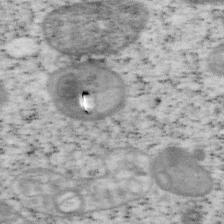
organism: Mouse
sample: OT-I killer T cells with ID8 ovarian cancer cells